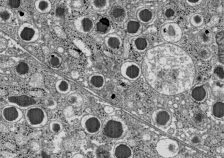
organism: C57BL Mouse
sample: Pancreatic islet